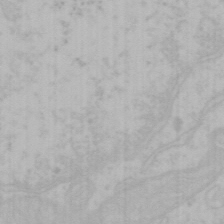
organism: Mouse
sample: Choroid plexus